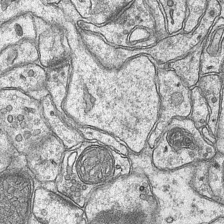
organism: Mouse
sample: CA1 Hippocampus